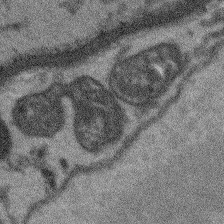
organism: Arabidopsis thaliana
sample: Root tip